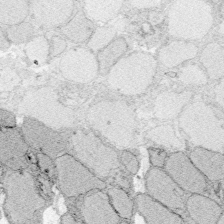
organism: Zebrafish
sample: Whole-Brain